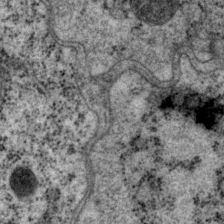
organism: P. pacificus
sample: Pharynx